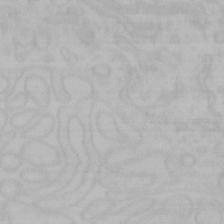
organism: Mouse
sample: Choroid plexus